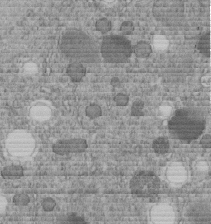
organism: C. elegans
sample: C. elegans embryo early stage